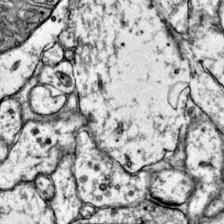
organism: Mouse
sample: Primary visual cortex